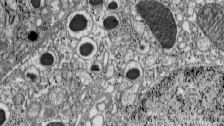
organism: C57BL Mouse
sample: Pancreatic islet